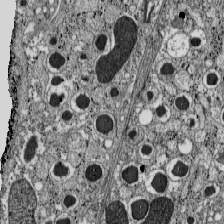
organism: C57BL Mouse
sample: Pancreatic islet